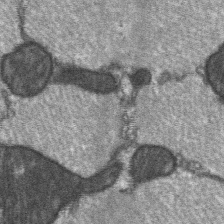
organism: C57BL Mouse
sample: Soleus